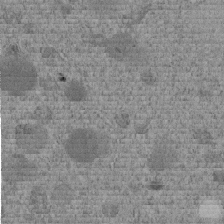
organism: C. elegans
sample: C. elegans embryo early stage